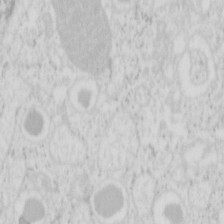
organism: Mouse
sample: Pancreas